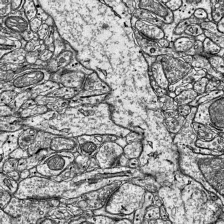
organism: Mouse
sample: Visual Cortex